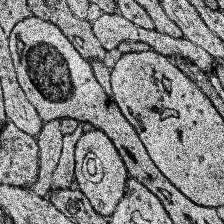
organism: Human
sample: Temporal Lobe